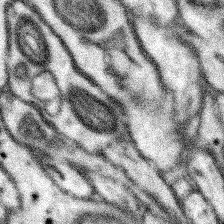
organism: Mouse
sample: Somatosensory cortex neuropil